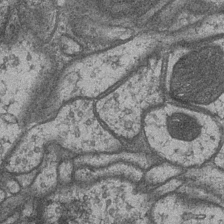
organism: Drosophila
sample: Optic medulla